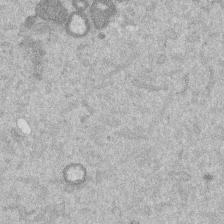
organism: Mouse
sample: Dividing mouse embryo 1 cell stage